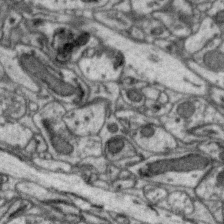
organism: Zebra finch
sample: Brain